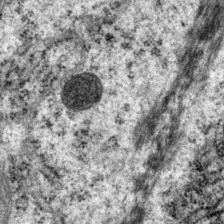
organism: P. pacificus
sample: Pharynx